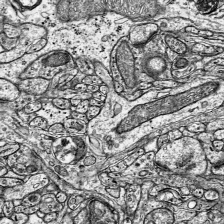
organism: Mouse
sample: Visual Cortex